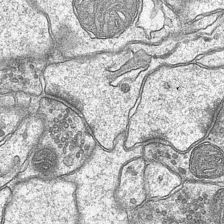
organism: Mouse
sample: CA1 Hippocampus